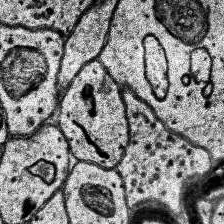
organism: Human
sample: Temporal Lobe